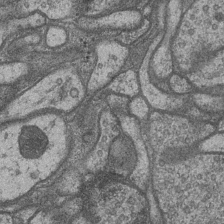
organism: Drosophila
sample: Optic medulla